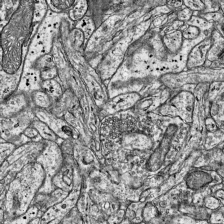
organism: Mouse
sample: Visual Cortex